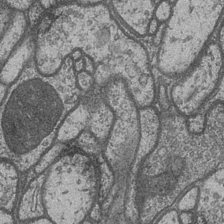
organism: Drosophila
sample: Optic medulla